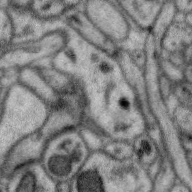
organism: Zebra finch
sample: Brain